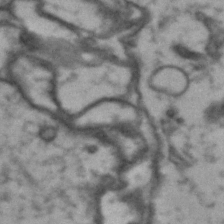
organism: Drosophila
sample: Brain